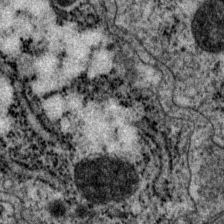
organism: P. pacificus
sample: Pharynx